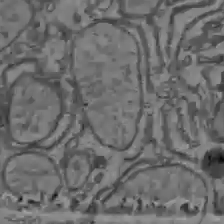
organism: C57BL Mouse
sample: Liver